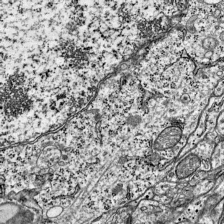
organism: Mouse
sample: Visual Cortex